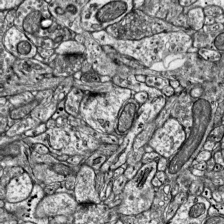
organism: Mouse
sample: Visual Cortex